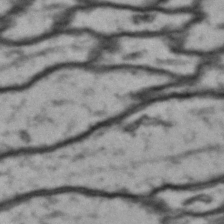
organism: Drosophila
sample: Brain